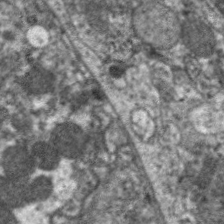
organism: C. elegans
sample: Pharynx